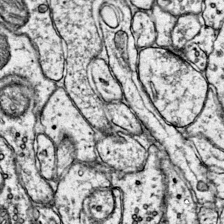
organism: Mouse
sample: Primary visual cortex